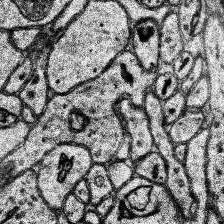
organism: Human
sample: Temporal Lobe